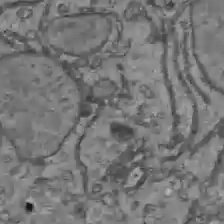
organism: C57BL Mouse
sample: Liver